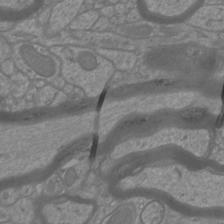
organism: Mouse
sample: Cortical neurons